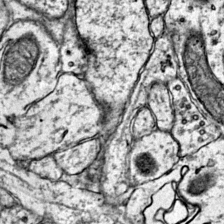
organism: Mouse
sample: Primary visual cortex